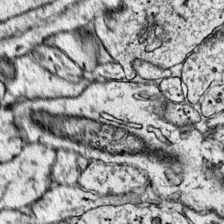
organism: Mouse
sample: Primary visual cortex